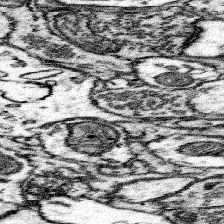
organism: Mouse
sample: Somatosensory cortex neuropil